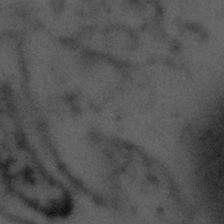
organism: Tuwongella immobilis